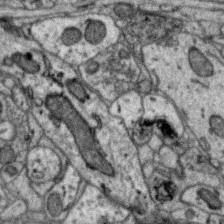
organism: Zebra finch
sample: Brain